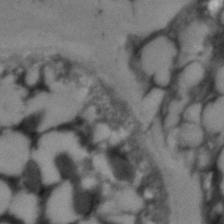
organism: C. elegans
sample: C. elegans embryo